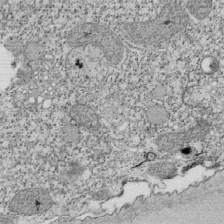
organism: Tetrahymena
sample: Cilia in tetrahymena